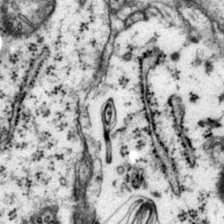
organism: Mouse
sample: Primary visual cortex